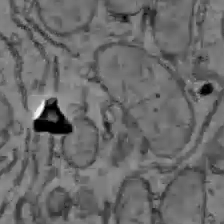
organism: C57BL Mouse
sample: Liver